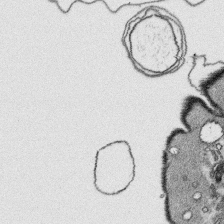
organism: Platynereis dumerilii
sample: Parapodia